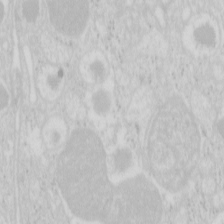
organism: Mouse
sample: Pancreas